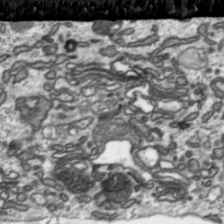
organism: Toxoplasma gondii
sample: Parasites in a vacuole inside a host cell